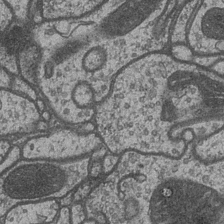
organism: Drosophila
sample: Optic medulla